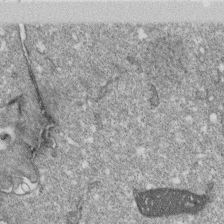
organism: African green monkey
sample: Vero E6 cells infected with SARS-CoV-2